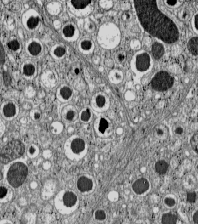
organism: C57BL Mouse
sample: Pancreatic islet